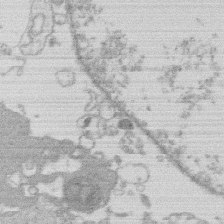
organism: Human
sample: Macrophage cells